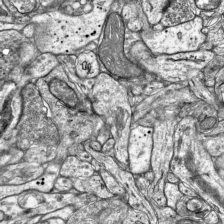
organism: Mouse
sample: Visual Cortex